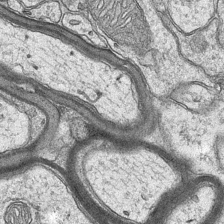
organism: Mouse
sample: CA1 Hippocampus